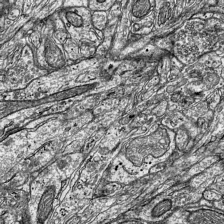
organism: Mouse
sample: Visual Cortex